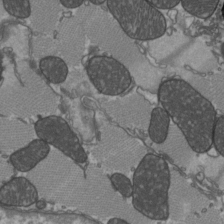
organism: C57BL Mouse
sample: Heart